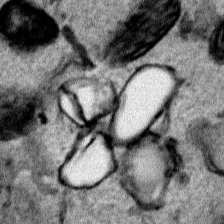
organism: Human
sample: Mitochondria in HCT116 cells